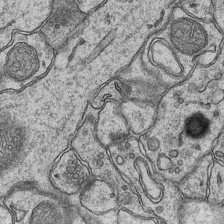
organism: Mouse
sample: CA1 Hippocampus